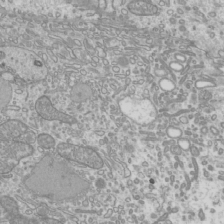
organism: Mouse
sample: Cilia; mouse epididymis